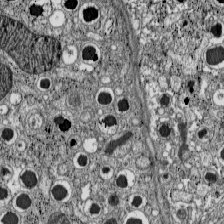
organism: C57BL Mouse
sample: Pancreatic islet